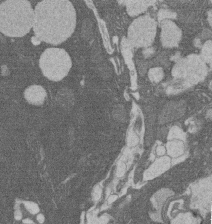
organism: Rat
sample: Salivary granule